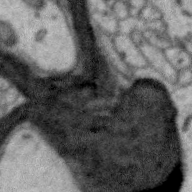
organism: Zebra finch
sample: Brain